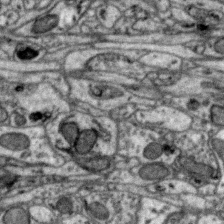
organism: Zebra finch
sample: Brain